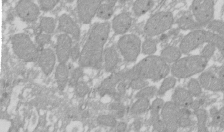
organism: Xenopus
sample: Cilia; centrioles in frog embryo cells